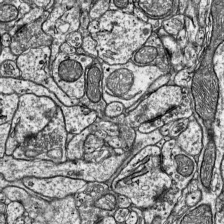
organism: Mouse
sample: Visual Cortex